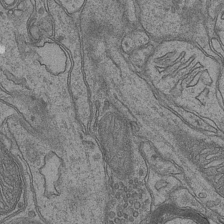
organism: Mouse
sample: CA1 Hippocampus